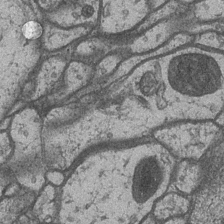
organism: Drosophila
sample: Optic medulla